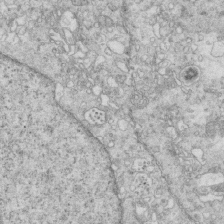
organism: Mouse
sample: Multiciliated cells